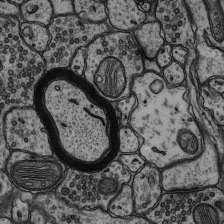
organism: Rat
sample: Hippocampus